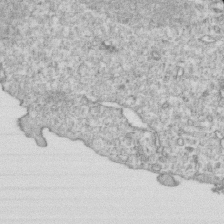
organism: Mouse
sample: Activated OT-1 CD8+ T cells